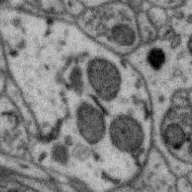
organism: Zebra finch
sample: Brain